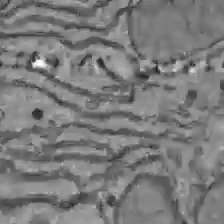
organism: C57BL Mouse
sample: Liver